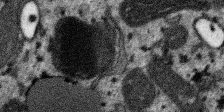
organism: Human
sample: Lung epithelial cells infected with SARS-CoV-2